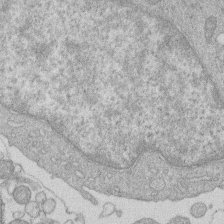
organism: Human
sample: Macrophage cells